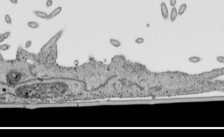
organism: Human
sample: Mitochondria in HCT116 cells